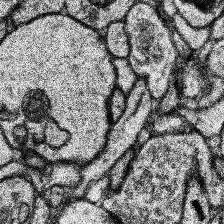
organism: Human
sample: Temporal Lobe